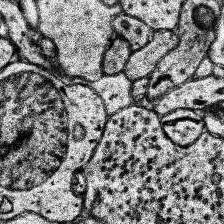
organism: Human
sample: Temporal Lobe